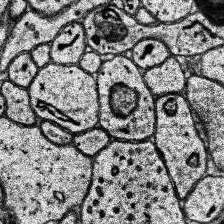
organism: Human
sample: Temporal Lobe